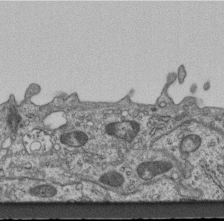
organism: Mouse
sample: Centriole in ependymal cells